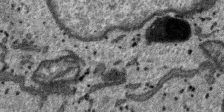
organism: Human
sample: Lung epithelial cells, uninfected (mock) control